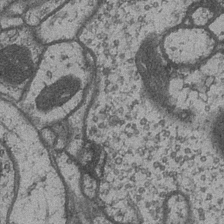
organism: Drosophila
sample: Optic medulla